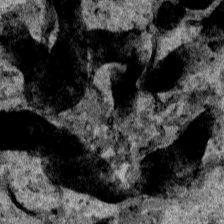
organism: Human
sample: Mitochondria in HCT116 cells